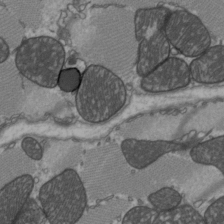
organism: C57BL Mouse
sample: Heart